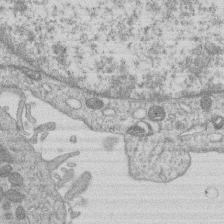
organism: Human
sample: Macrophage cells